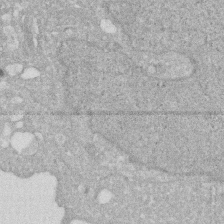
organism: Human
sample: HIV infected U937 cells